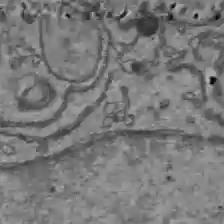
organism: C57BL Mouse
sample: Liver